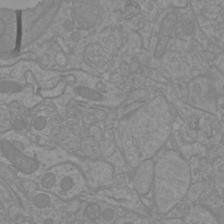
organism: Mouse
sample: Cortical neurons